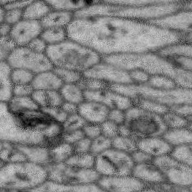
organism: Zebra finch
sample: Brain